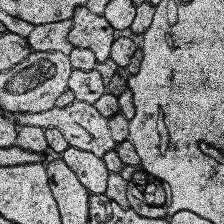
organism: Human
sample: Temporal Lobe